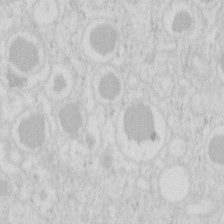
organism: Mouse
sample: Pancreas